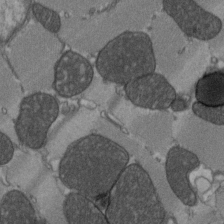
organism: C57BL Mouse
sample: Heart